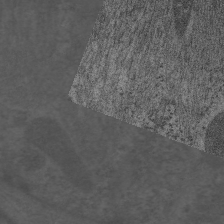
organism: C. elegans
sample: Pharynx